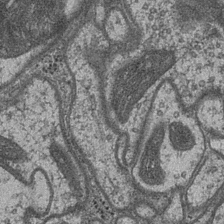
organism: Drosophila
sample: Optic medulla